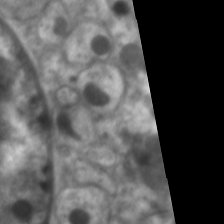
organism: C. elegans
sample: Pharynx